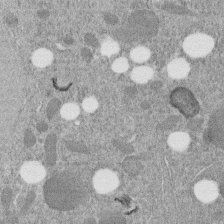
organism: C. elegans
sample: C. elegans embryo early stage